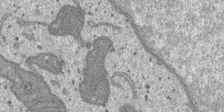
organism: Human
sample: Lung epithelial cells infected with SARS-CoV-2